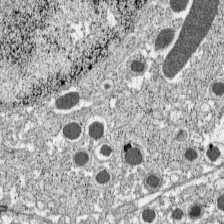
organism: C57BL Mouse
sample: Pancreatic islet